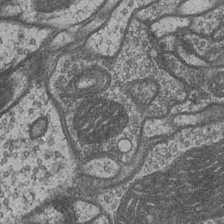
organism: Drosophila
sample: Optic medulla